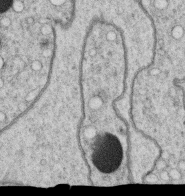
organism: C. elegans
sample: C. elegans oocyte; sperm cells